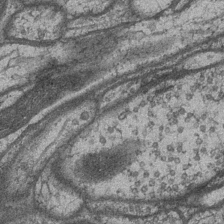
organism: Drosophila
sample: Optic medulla